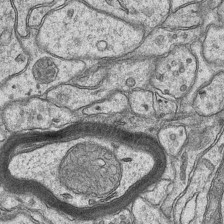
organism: Mouse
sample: CA1 Hippocampus